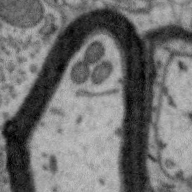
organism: Zebra finch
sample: Brain